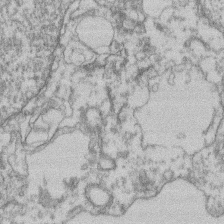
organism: Mouse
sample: T cell stromal cell synapse